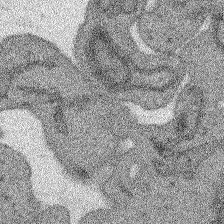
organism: Human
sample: HeLa cells